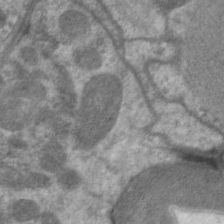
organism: C. elegans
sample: Pharynx